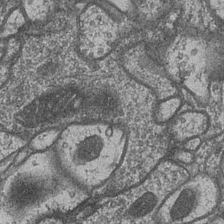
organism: Drosophila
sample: Optic medulla